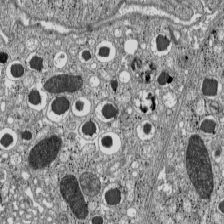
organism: C57BL Mouse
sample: Pancreatic islet